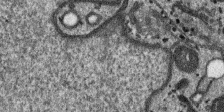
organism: Human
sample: Lung epithelial cells infected with SARS-CoV-2